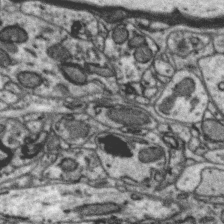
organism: Zebra finch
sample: Brain